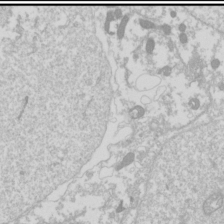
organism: Drosophila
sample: Cell division; meiosis; drosophila spermatocytes